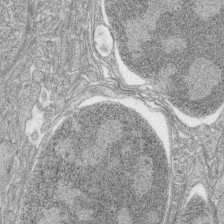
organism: Zebrafish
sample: synaptic ribbons in rod cells and cone cells